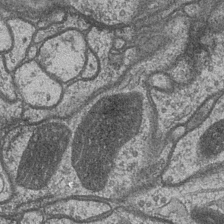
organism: Drosophila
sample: Optic medulla